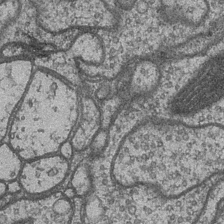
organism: Drosophila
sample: Optic medulla